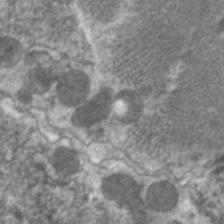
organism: C. elegans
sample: Pharynx